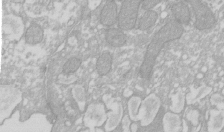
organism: Xenopus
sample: Cilia; centrioles in frog embryo cells